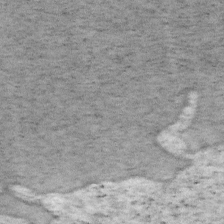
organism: Mouse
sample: OT-I killer T cells with ID8 ovarian cancer cells